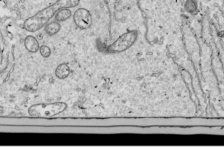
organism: Drosophila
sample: Cell division; meiosis; drosophila spermatocytes